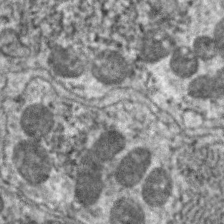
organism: C. elegans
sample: Pharynx